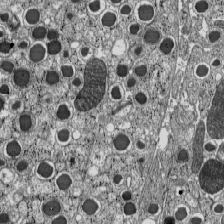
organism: C57BL Mouse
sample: Pancreatic islet